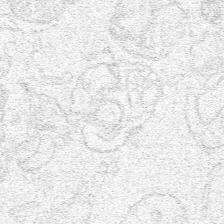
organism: Human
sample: Mitochondria in HCT116 cells